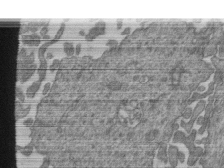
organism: Human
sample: Retinal organoid Rod and Cone cells